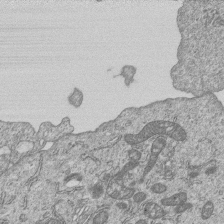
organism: Human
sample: MDA-MB-231 cells